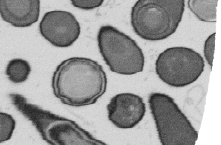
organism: B. subtilis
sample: Bacterial spore